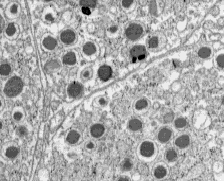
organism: C57BL Mouse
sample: Pancreatic islet